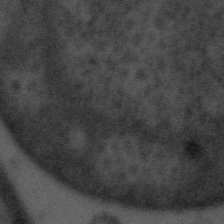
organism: Tuwongella immobilis